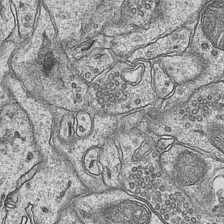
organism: Mouse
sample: CA1 Hippocampus